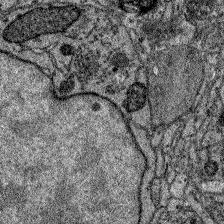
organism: Zebrafish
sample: Larval olfactory bulb